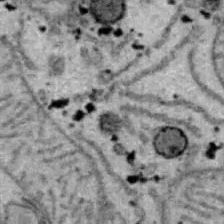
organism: Mouse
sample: Liver from an obese (ob/ob) mouse